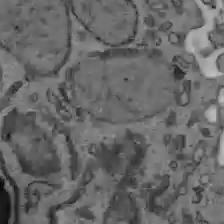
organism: C57BL Mouse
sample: Liver